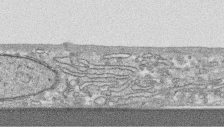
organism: Human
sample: CRL-1474